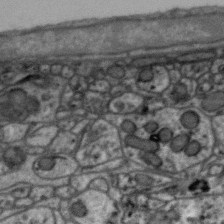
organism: Zebra finch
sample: Brain